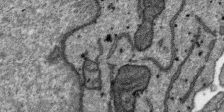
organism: Human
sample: Lung epithelial cells, uninfected (mock) control